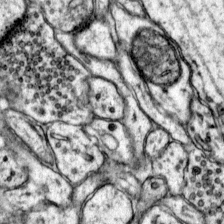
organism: Mouse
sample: Primary visual cortex